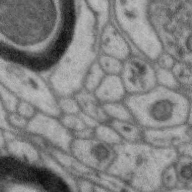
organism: Zebra finch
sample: Brain